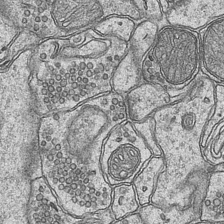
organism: Mouse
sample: CA1 Hippocampus